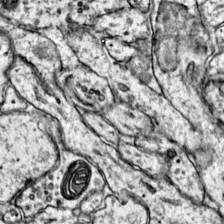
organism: Mouse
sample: Primary visual cortex